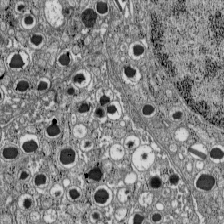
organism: C57BL Mouse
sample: Pancreatic islet